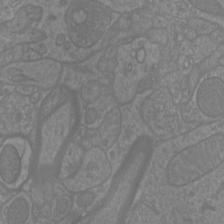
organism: Mouse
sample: Cortical neurons